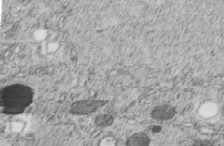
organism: C. elegans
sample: C. elegans embryo early stage